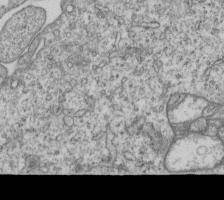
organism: Human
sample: MDA-MB-231 cells